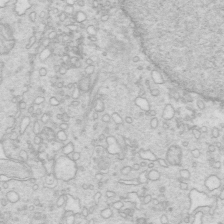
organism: Mouse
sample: Multiciliated cells